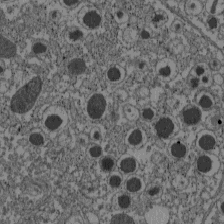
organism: C57BL Mouse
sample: Pancreatic islet